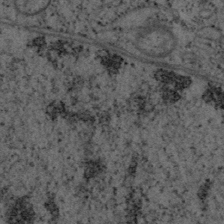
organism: Human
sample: HeLa cells